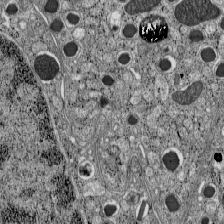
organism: C57BL Mouse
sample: Pancreatic islet